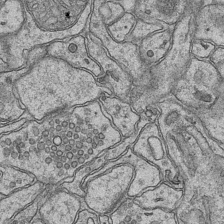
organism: Mouse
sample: CA1 Hippocampus